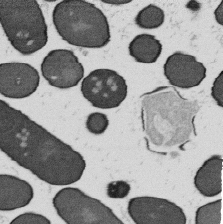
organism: B. subtilis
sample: Bacterial spore